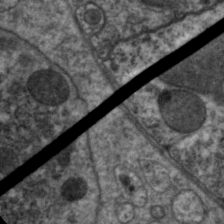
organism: C. elegans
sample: Pharynx